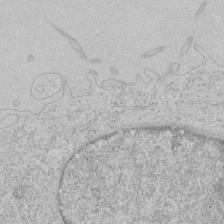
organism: Human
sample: Mitochondria in HCT116 cells